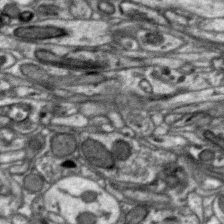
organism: Zebra finch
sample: Brain